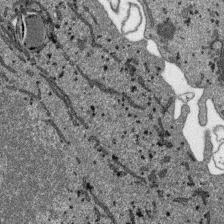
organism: Human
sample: Lung epithelial cells infected with SARS-CoV-2